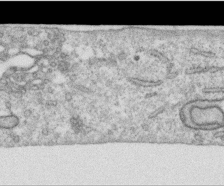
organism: Human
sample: Centriole in RPE cells